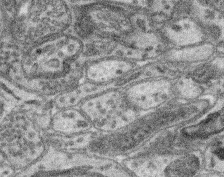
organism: Mouse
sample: Retina